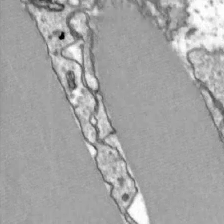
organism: Zebrafish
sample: Actinotrichia fibers